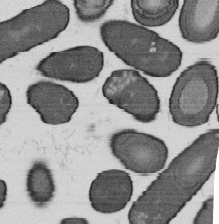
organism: B. subtilis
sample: Bacterial spore